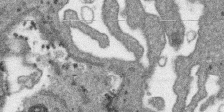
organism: Human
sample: Lung epithelial cells infected with SARS-CoV-2